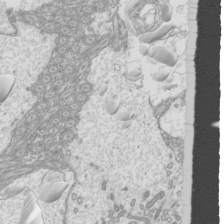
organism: Mouse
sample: Cilia; mouse epididymis